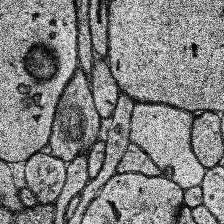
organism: Human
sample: Temporal Lobe